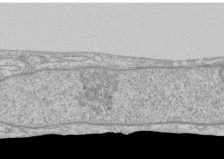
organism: Human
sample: CRL-1474